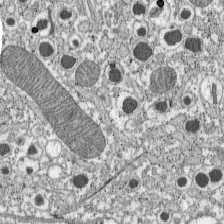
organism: C57BL Mouse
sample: Pancreatic islet